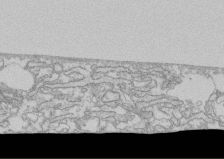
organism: Human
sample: CRL-1474